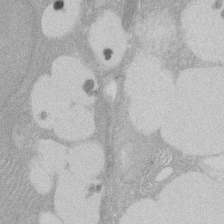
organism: Rat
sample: Salivary granule